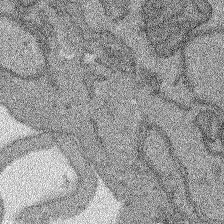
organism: Human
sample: HeLa cells